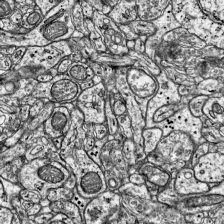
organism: Mouse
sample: Visual Cortex